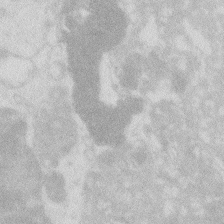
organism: Zebrafish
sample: Macrophage